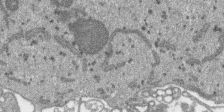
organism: Human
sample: Lung epithelial cells infected with SARS-CoV-2